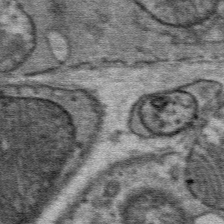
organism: Mouse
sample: Mouse Salivary gland